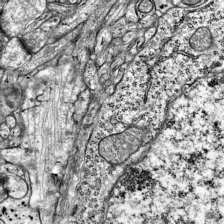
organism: Mouse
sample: Visual Cortex